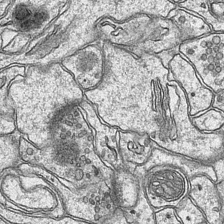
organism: Mouse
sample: CA1 Hippocampus